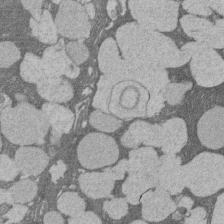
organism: Rat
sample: Salivary granule